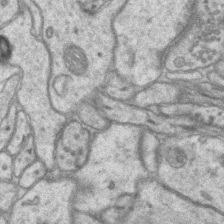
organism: Mouse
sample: CA1 Hippocampus